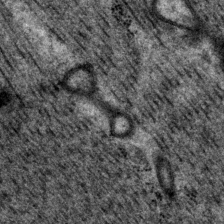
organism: P. pacificus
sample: Pharynx